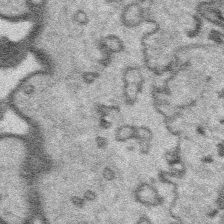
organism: Platynereis dumerilii